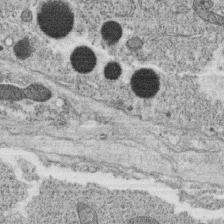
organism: C. elegans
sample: C. elegans oocyte; sperm cells